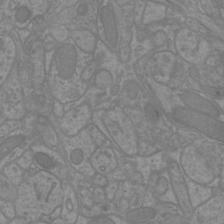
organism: Mouse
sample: Cortical neurons